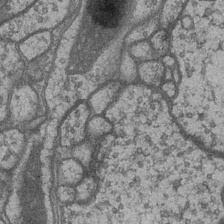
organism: Drosophila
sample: Optic medulla